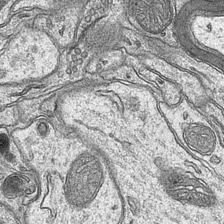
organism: Mouse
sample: CA1 Hippocampus